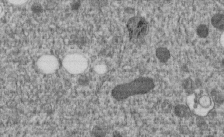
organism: C. elegans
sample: C. elegans embryo early stage